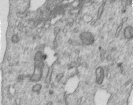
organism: Human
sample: Centriole in RPE cells